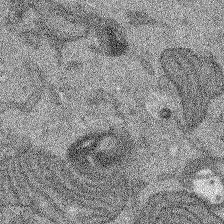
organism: Human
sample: HeLa cells